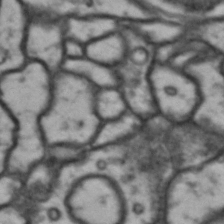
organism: Drosophila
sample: Brain